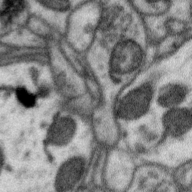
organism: Zebra finch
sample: Brain